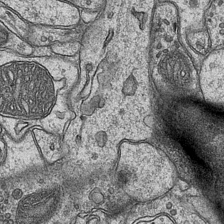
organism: Mouse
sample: CA1 Hippocampus